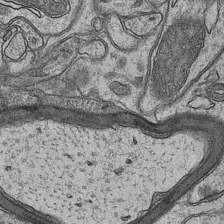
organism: Mouse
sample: CA1 Hippocampus